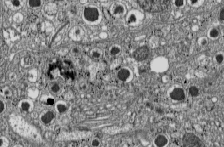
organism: C57BL Mouse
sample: Pancreatic islet